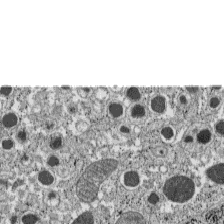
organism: C57BL Mouse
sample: Pancreatic islet